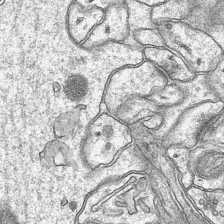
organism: Mouse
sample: CA1 Hippocampus